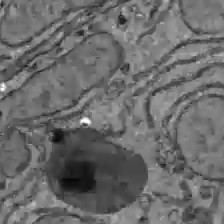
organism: C57BL Mouse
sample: Liver